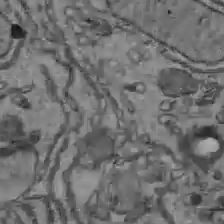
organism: C57BL Mouse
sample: Liver